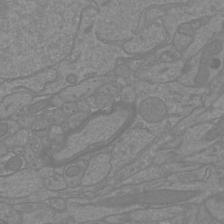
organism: Mouse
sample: Cortical neurons